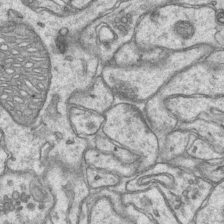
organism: Mouse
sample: CA1 Hippocampus